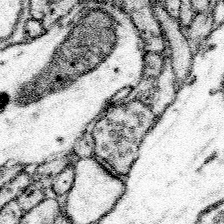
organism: Mouse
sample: Somatosensory cortex neuropil